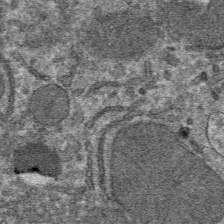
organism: Mouse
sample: Mouse hepatocytes